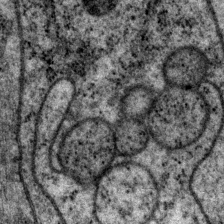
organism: P. pacificus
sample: Pharynx